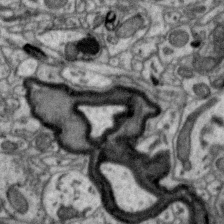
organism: Zebra finch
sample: Brain